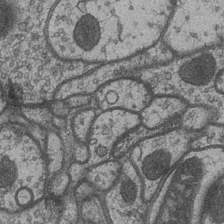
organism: Drosophila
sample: Optic medulla